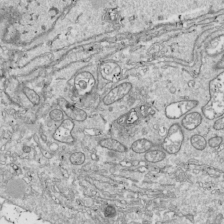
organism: Drosophila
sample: Cell division; meiosis; drosophila spermatocytes